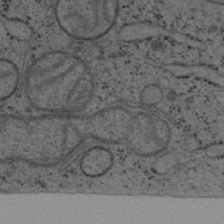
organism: Human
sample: HeLa cells